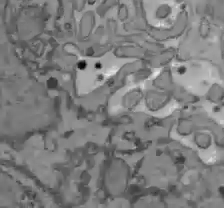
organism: C57BL Mouse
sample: Liver